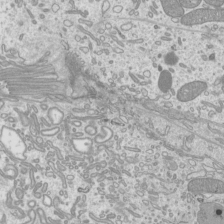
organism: Mouse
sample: Cilia; mouse epididymis